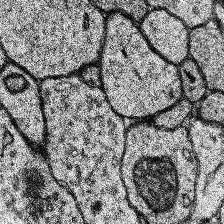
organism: Human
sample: Temporal Lobe